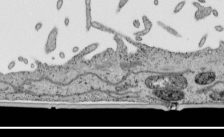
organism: Human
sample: Mitochondria in HCT116 cells